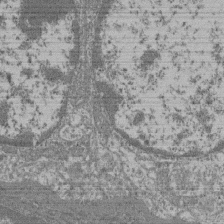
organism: Mouse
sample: Glomerulus